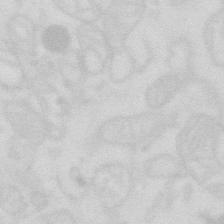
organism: Human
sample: HeLa cells